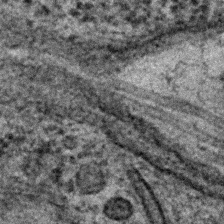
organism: C. elegans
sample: C. elegans embryo